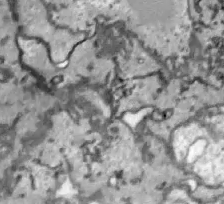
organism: Zebrafish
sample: Actinotrichia fibers